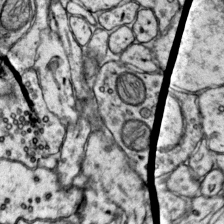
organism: Mouse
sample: Primary visual cortex